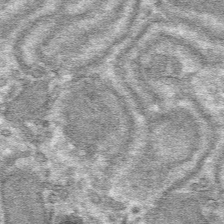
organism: Mouse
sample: Mouse hepatocytes